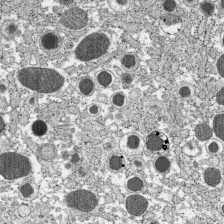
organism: C57BL Mouse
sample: Pancreatic islet